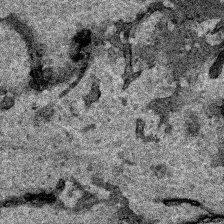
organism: Human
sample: Mitochondria in HCT116 cells